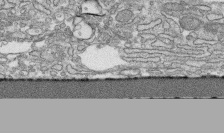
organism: Human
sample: CRL-1474